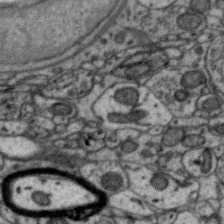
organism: Zebra finch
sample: Brain